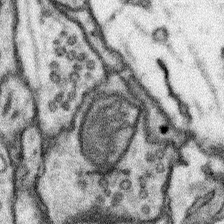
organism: Mouse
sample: Somatosensory cortex neuropil